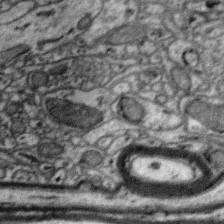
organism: Zebra finch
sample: Brain